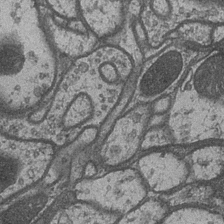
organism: Drosophila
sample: Optic medulla